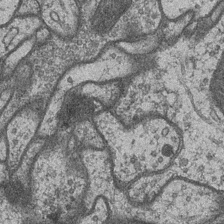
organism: Drosophila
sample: Optic medulla